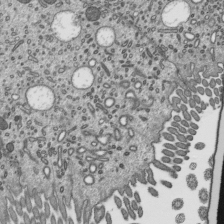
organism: Mouse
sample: Mouse epididymis efferent ductule cilia